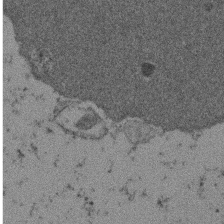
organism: Mouse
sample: Dividing mouse embryo 1 cell stage